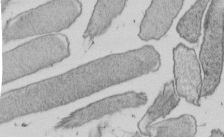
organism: E. coli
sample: Bacterial nucleoid